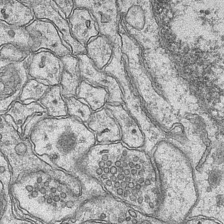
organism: Mouse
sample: CA1 Hippocampus